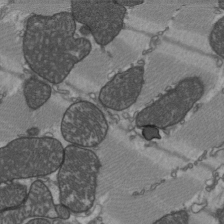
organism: C57BL Mouse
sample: Heart